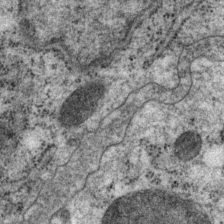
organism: P. pacificus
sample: Pharynx